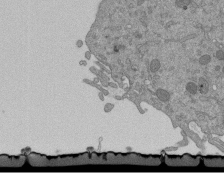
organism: Mouse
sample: ED-1 cell nuclei; centrioles